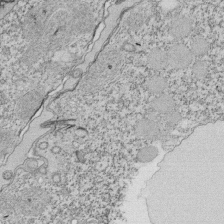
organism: Tetrahymena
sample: Cilia in tetrahymena